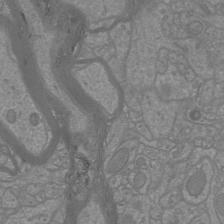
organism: Mouse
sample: Cortical neurons